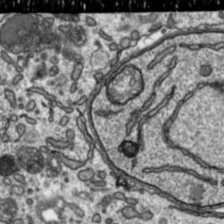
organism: Toxoplasma gondii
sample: Parasites in a vacuole inside a host cell